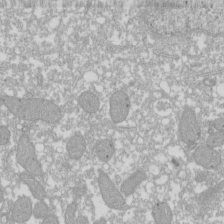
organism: Xenopus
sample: Cilia; centrioles in frog embryo cells